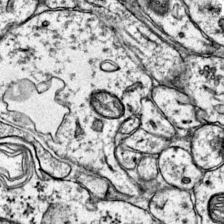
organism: Mouse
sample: Primary visual cortex